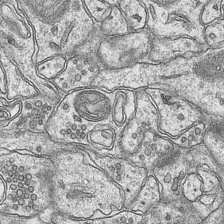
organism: Mouse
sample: CA1 Hippocampus